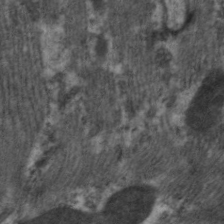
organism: C. elegans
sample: Pharynx